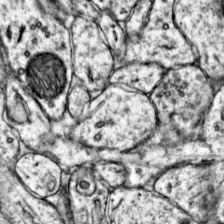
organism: Mouse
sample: Primary visual cortex